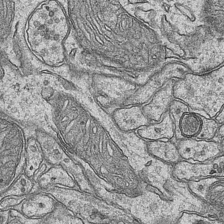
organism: Mouse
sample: CA1 Hippocampus